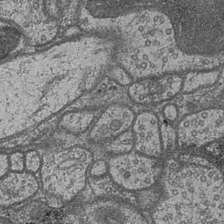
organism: Drosophila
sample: Optic medulla